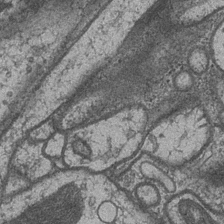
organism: Drosophila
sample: Optic medulla